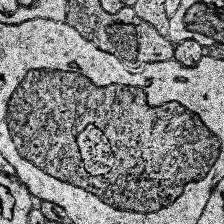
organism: Human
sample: Temporal Lobe